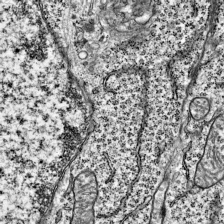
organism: Mouse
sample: Visual Cortex